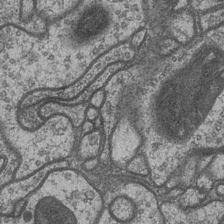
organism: Drosophila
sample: Optic medulla